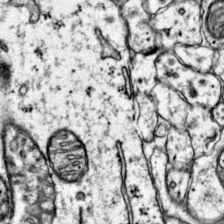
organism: Mouse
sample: Primary visual cortex